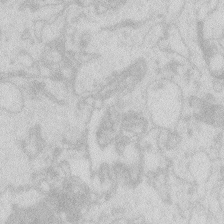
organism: Zebrafish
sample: Macrophage